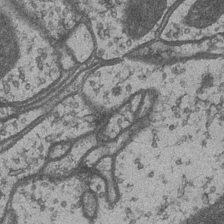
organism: Drosophila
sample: Optic medulla